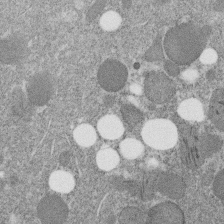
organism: C. elegans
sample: C. elegans embryo early stage